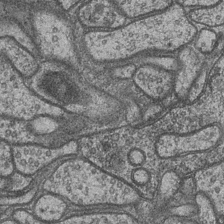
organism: Drosophila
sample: Optic medulla